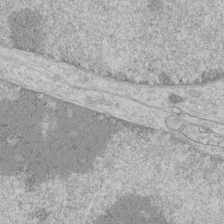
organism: Human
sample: Mitochondria in HCT116 cells